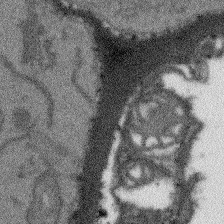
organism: Arabidopsis thaliana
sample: Root tip